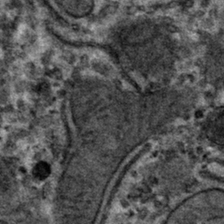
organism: Mouse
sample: Mouse hepatocytes